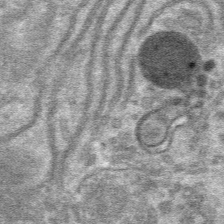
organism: Mouse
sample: Mouse hepatocytes